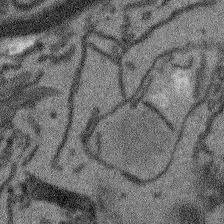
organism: Arabidopsis thaliana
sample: Root tip